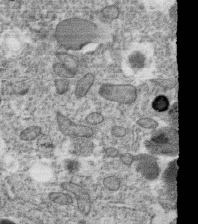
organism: C. elegans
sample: C. elegans oocyte; sperm cells